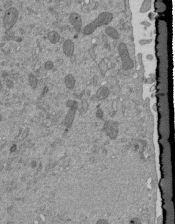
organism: Mouse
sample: ED-1 cell nuclei; centrioles